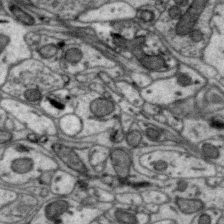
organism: Zebra finch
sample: Brain